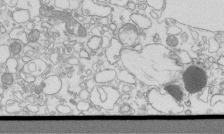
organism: Mouse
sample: Macrophages